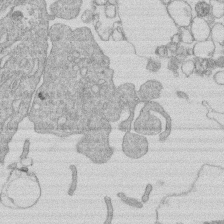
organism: Human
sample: Macrophage cells